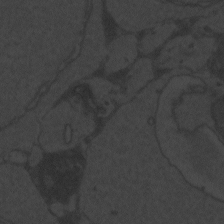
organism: Zebrafish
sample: Macrophage infected with Toxoplasma gondii